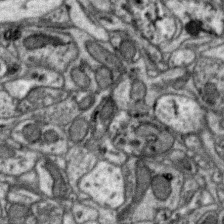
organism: Zebra finch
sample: Brain